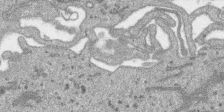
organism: Human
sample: Lung epithelial cells infected with SARS-CoV-2